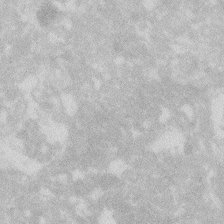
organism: Zebrafish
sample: Macrophage